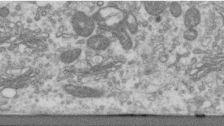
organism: Human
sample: Centriole in RPE cells